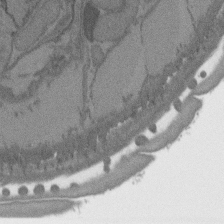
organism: C. elegans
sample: AFD neurons C. elegans